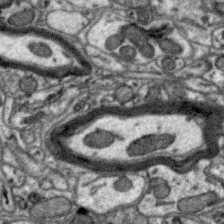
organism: Zebra finch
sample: Brain